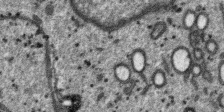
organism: Human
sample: Lung epithelial cells infected with SARS-CoV-2